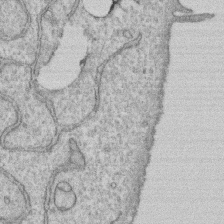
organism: Human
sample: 1205lu cells